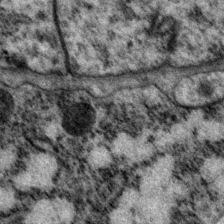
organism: P. pacificus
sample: Pharynx